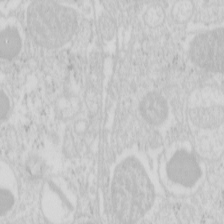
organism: Mouse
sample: Pancreas